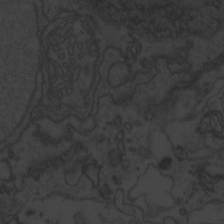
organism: Zebrafish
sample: Macrophage infected with Toxoplasma gondii